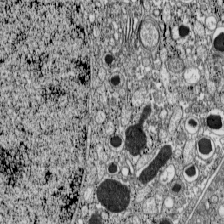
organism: C57BL Mouse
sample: Pancreatic islet